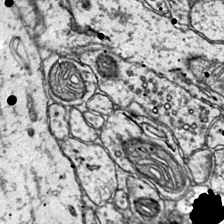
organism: Mouse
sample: Primary visual cortex